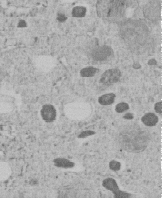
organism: C. elegans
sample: C. elegans embryo early stage